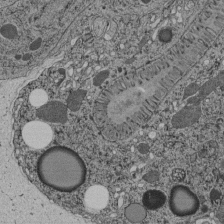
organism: C. elegans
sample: C. elegans pharynx